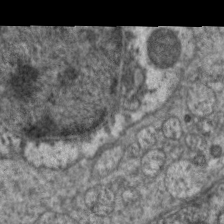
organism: C. elegans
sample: Pharynx